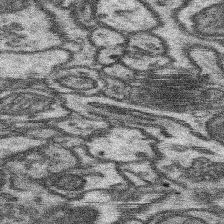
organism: Mouse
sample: Somatosensory cortex neuropil